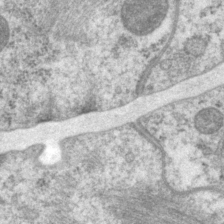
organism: P. pacificus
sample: Pharynx